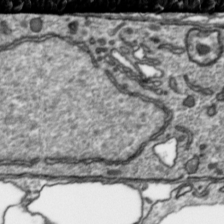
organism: Toxoplasma gondii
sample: Parasites in a vacuole inside a host cell